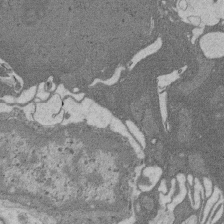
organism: Rat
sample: Salivary granule